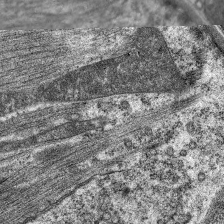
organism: C. elegans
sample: Pharynx